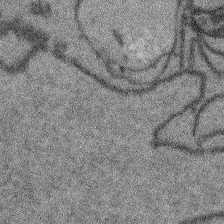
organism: Arabidopsis thaliana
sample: Root tip